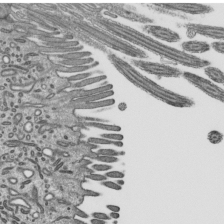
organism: Mouse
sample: Mouse epididymis efferent ductule cilia